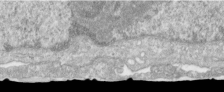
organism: Human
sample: Centriole in RPE cells